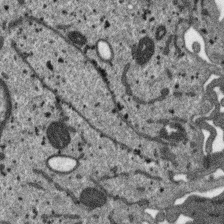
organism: Human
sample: Lung epithelial cells infected with SARS-CoV-2